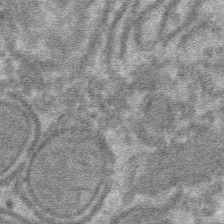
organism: Mouse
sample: Mouse hepatocytes